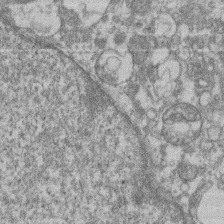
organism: Mouse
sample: T cell stromal cell synapse